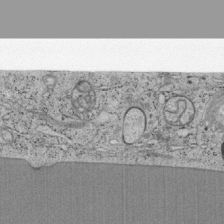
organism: Human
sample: HeLa cells